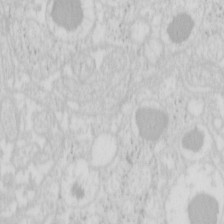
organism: Mouse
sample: Pancreas